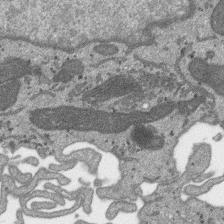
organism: Human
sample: Lung epithelial cells infected with SARS-CoV-2